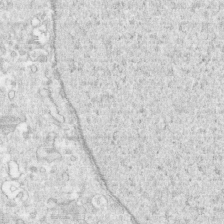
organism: Human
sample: CRL-1474